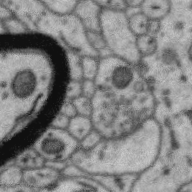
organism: Zebra finch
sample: Brain